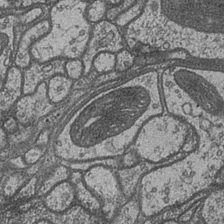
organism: Drosophila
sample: Optic medulla